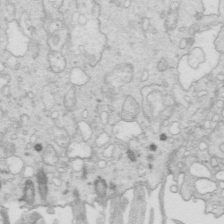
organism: Mouse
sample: Multiciliated cells